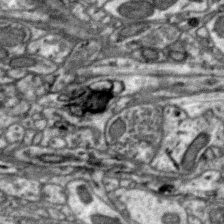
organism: Zebra finch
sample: Brain